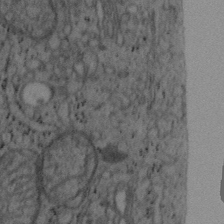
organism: Human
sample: HeLa cells